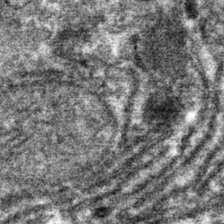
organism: Mouse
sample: Mouse hepatocytes